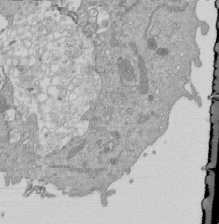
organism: Mouse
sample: ED-1 cell nuclei; centrioles